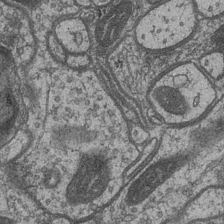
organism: Drosophila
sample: Optic medulla